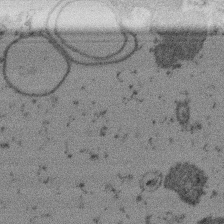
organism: Mouse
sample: Dividing mouse embryo 1 cell stage